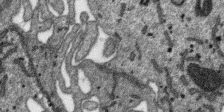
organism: Human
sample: Lung epithelial cells infected with SARS-CoV-2